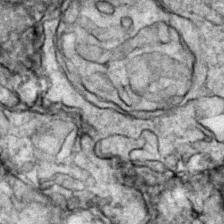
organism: Zebrafish